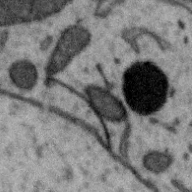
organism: Zebra finch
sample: Brain